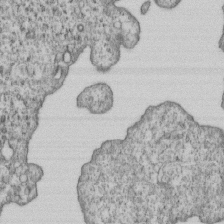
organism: Human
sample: MDA-MB-231 cells